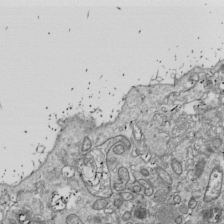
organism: Drosophila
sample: Cell division; meiosis; drosophila spermatocytes